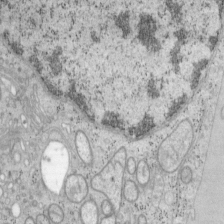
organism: Mouse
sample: OT-I killer T cells with ID8 ovarian cancer cells